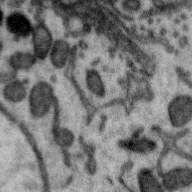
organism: Zebra finch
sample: Brain